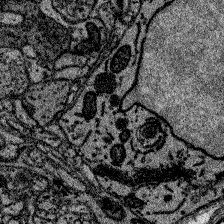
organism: Zebrafish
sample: Larval olfactory bulb